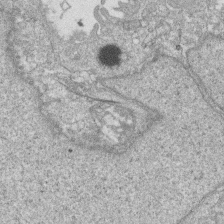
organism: Human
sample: HeLa cell HIV synapse